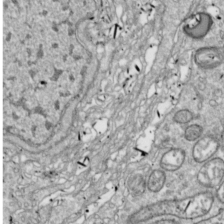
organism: Drosophila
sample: Cell division; meiosis; drosophila spermatocytes